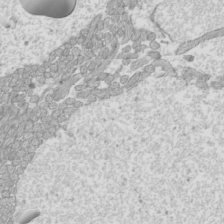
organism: Mouse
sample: Cilia; mouse epididymis